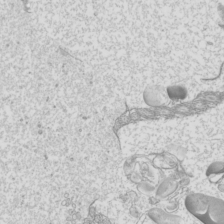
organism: Mouse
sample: Cilia; mouse epididymis